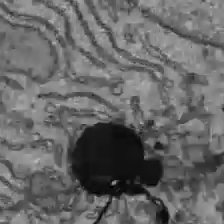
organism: C57BL Mouse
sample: Liver